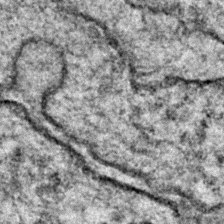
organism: Zebrafish